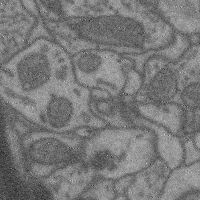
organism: Mouse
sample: Cerebral cortex